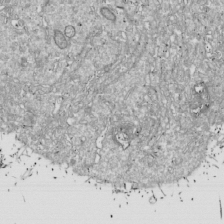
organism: Drosophila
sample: Cell division; meiosis; drosophila spermatocytes